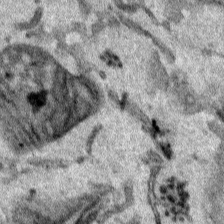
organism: Human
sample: Mitochondria in HCT116 cells